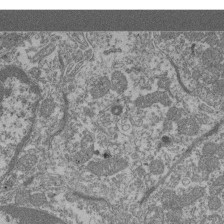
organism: Mouse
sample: Glomerulus